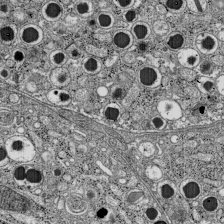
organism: C57BL Mouse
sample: Pancreatic islet